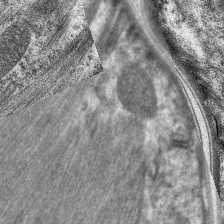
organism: C. elegans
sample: Pharynx